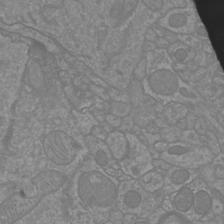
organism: Mouse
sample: Cortical neurons